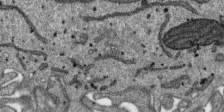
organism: Human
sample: Lung epithelial cells, uninfected (mock) control